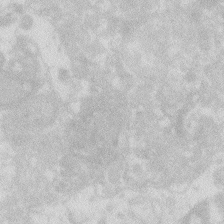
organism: Zebrafish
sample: Macrophage